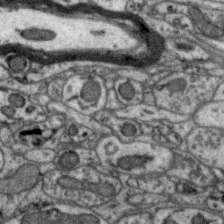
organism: Zebra finch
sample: Brain